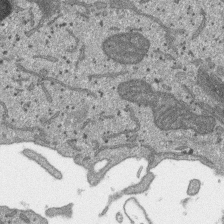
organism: Human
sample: Lung epithelial cells infected with SARS-CoV-2